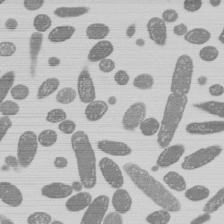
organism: E. coli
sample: Bacterial nucleoid